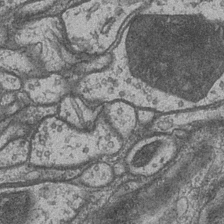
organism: Drosophila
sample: Optic medulla